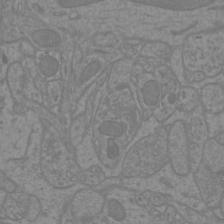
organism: Mouse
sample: Cortical neurons